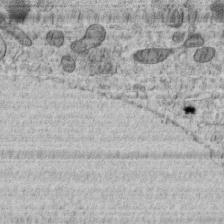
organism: C. elegans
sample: C. elegans embryo early stage